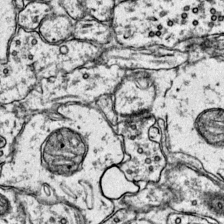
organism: Mouse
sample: Primary visual cortex